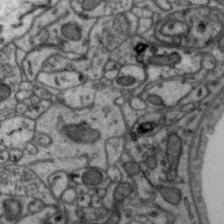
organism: Zebra finch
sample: Brain